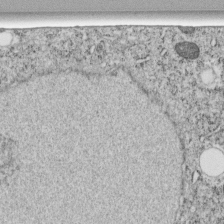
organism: C. elegans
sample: C. elegans embryo early stage